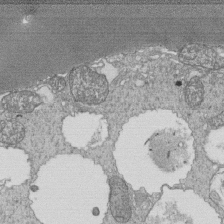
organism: Tetrahymena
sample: Cilia in tetrahymena